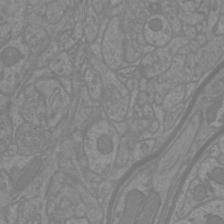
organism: Mouse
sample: Cortical neurons